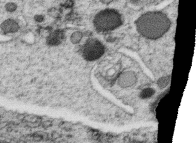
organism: C. elegans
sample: C. elegans oocyte; sperm cells